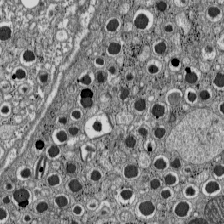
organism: C57BL Mouse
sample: Pancreatic islet